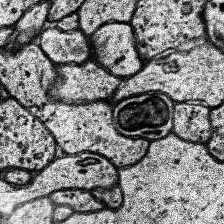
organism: Human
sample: Temporal Lobe